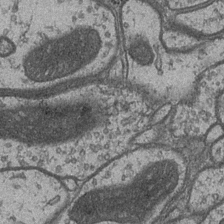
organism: Drosophila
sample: Optic medulla